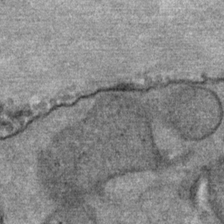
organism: Mouse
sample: Mouse Salivary gland